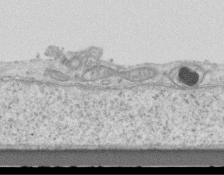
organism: Mouse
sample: Centriole in ependymal cells